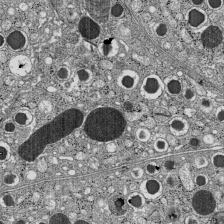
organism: C57BL Mouse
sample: Pancreatic islet